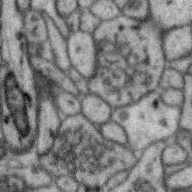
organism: Zebra finch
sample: Brain